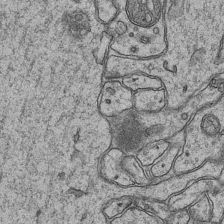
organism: Mouse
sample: CA1 Hippocampus